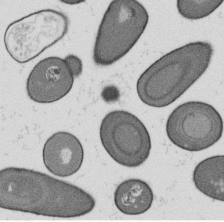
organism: B. subtilis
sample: Bacterial spore